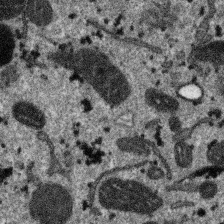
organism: Human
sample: Lung epithelial cells infected with SARS-CoV-2